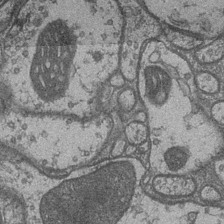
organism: Drosophila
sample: Optic medulla